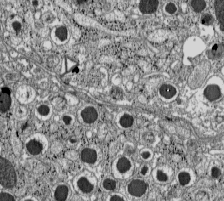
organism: C57BL Mouse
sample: Pancreatic islet